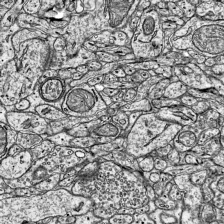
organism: Mouse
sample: Visual Cortex